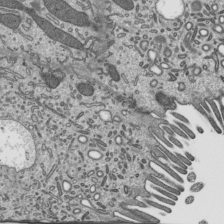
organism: Mouse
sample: Mouse epididymis efferent ductule cilia